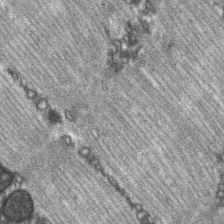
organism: C57BL Mouse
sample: Soleus